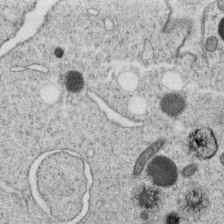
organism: C. elegans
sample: C. elegans oocyte; sperm cells